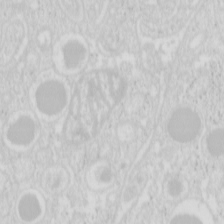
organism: Mouse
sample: Pancreas